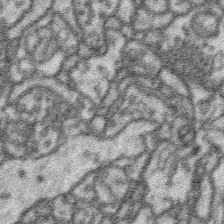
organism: Platynereis dumerilii